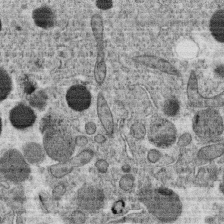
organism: C. elegans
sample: C. elegans oocyte; sperm cells